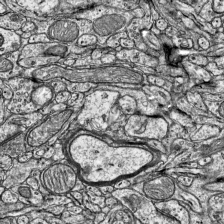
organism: Mouse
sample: Visual Cortex